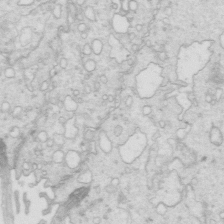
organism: Mouse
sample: Multiciliated cells